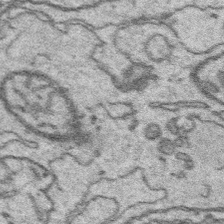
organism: Platynereis dumerilii